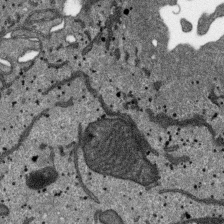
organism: Human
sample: Lung epithelial cells, uninfected (mock) control